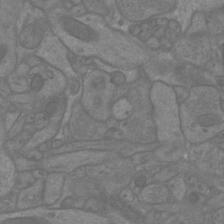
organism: Mouse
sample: Cortical neurons